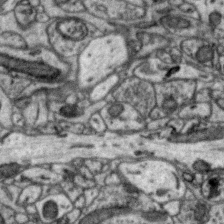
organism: Zebra finch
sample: Brain